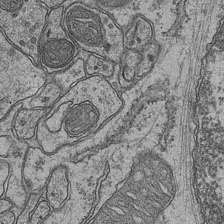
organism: Mouse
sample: CA1 Hippocampus